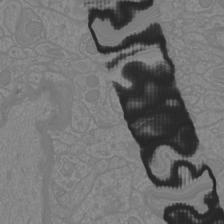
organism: Mouse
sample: Cortical neurons